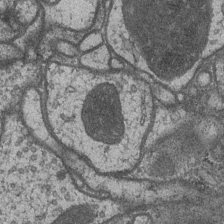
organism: Drosophila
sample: Optic medulla